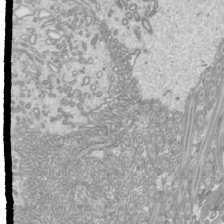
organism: Mouse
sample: Cilia; mouse epididymis